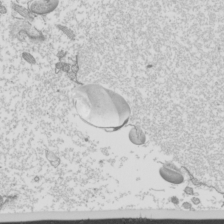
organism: Mouse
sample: Cilia; mouse epididymis